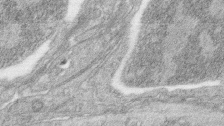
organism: Zebrafish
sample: synaptic ribbons in rod cells and cone cells